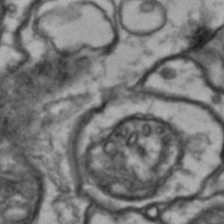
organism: Drosophila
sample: Brain